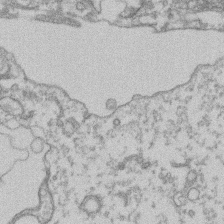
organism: Mouse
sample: T cell stromal cell synapse